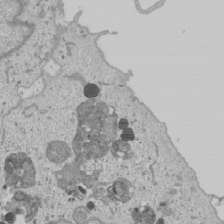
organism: Human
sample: Mitochondria in U2OS cells